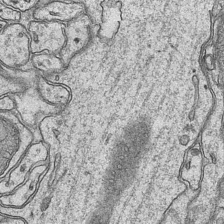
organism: Mouse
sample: CA1 Hippocampus